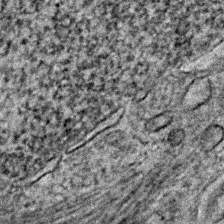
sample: Trachea